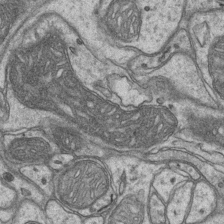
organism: Mouse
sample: CA1 Hippocampus